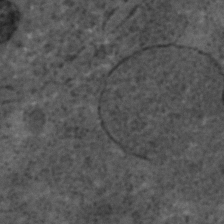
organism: C. elegans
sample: C. elegans embryo